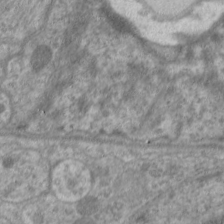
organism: C. elegans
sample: Pharynx